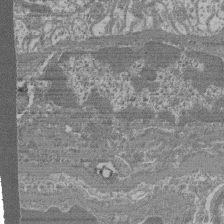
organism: Mouse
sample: Glomerulus